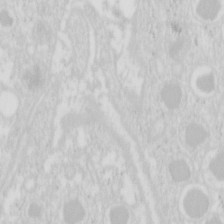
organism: Mouse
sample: Pancreas